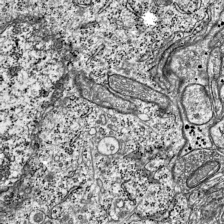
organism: Mouse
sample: Visual Cortex